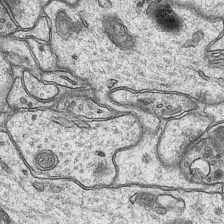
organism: Mouse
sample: CA1 Hippocampus